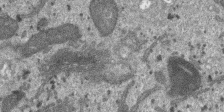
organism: Human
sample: Lung epithelial cells infected with SARS-CoV-2